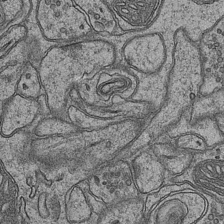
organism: Mouse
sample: CA1 Hippocampus